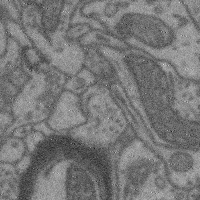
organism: Mouse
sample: Cerebral cortex